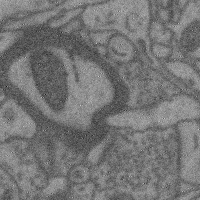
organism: Mouse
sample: Cerebral cortex